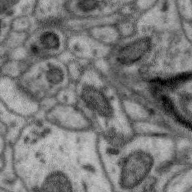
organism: Zebra finch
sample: Brain